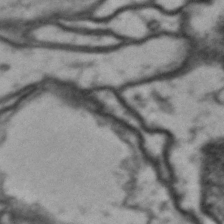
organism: Drosophila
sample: Brain